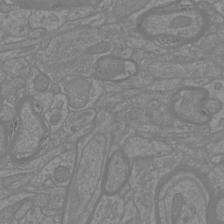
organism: Mouse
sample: Cortical neurons